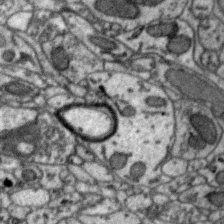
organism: Zebra finch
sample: Brain